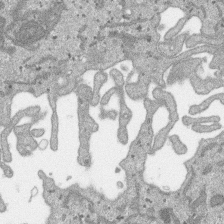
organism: Human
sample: Lung epithelial cells infected with SARS-CoV-2